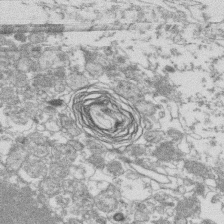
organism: Human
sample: HeLa cell HIV synapse